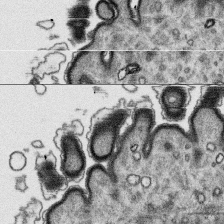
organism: Platynereis dumerilii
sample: Parapodia